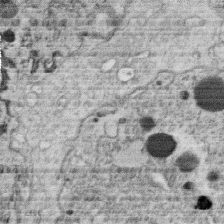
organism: C. elegans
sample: C. elegans oocyte; sperm cells